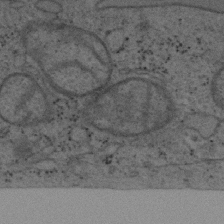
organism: Human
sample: HeLa cells